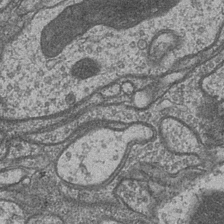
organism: Drosophila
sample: Optic medulla